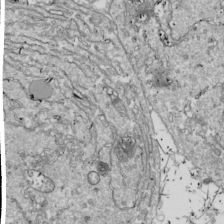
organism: Drosophila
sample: Cell division; meiosis; drosophila spermatocytes